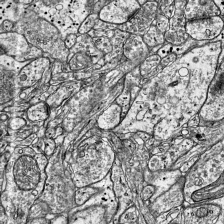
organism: Mouse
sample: Visual Cortex